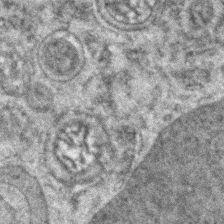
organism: Zebrafish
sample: Zebrafish embryo